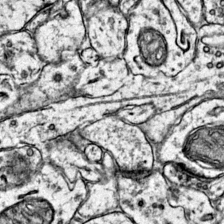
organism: Mouse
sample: Primary visual cortex